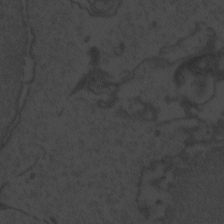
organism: Zebrafish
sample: Macrophage infected with Toxoplasma gondii